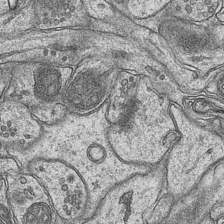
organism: Mouse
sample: CA1 Hippocampus